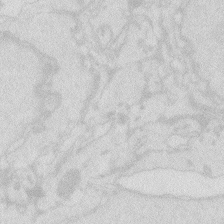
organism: Zebrafish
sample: Macrophage